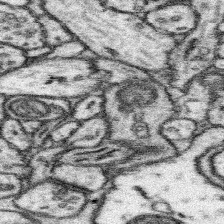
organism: Mouse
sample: Somatosensory cortex neuropil